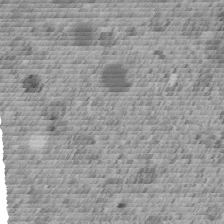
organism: C. elegans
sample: C. elegans embryo early stage